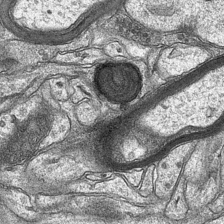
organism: Mouse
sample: CA1 Hippocampus